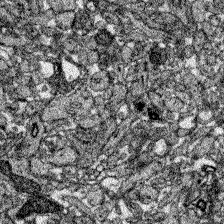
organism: Zebrafish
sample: Larval olfactory bulb